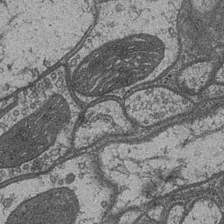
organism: Drosophila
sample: Optic medulla